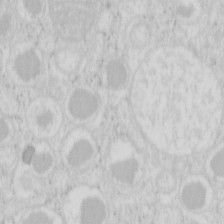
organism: Mouse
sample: Pancreas